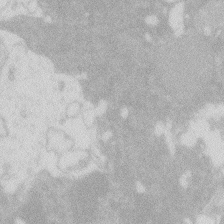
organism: Zebrafish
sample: Macrophage